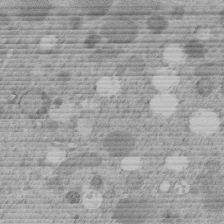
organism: C. elegans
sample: C. elegans embryo early stage